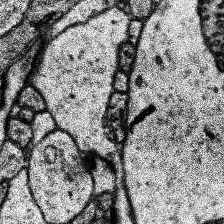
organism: Human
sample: Temporal Lobe